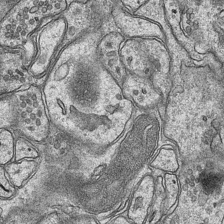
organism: Mouse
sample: CA1 Hippocampus